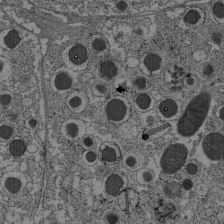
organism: C57BL Mouse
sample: Pancreatic islet